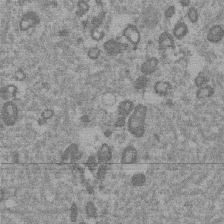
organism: Mouse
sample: Dividing mouse embryo 1 cell stage